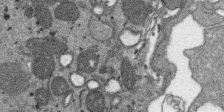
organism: Human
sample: Lung epithelial cells infected with SARS-CoV-2